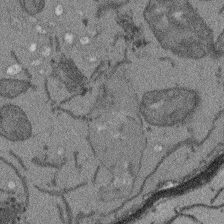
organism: Arabidopsis thaliana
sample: Root tip